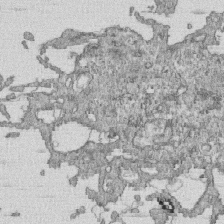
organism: Human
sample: HeLa cell HIV synapse